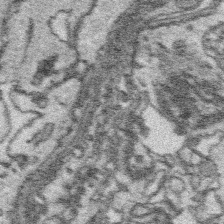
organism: Platynereis dumerilii